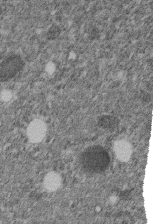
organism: C. elegans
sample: C. elegans embryo early stage